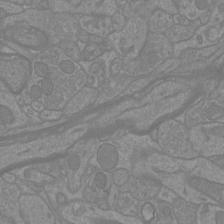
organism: Mouse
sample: Cortical neurons